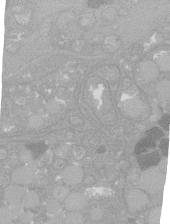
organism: C. elegans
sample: C. elegans oocyte; sperm cells